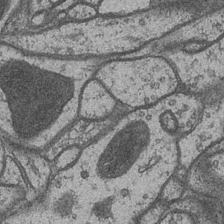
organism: Drosophila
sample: Optic medulla